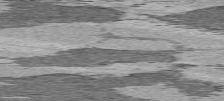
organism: C57BL Mouse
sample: Heart